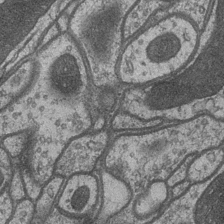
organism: Drosophila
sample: Optic medulla